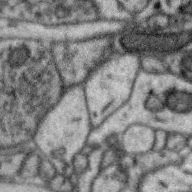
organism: Zebra finch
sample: Brain